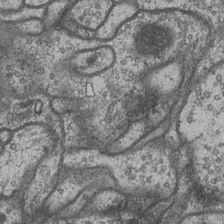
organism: Drosophila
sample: Optic medulla